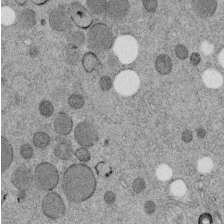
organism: C. elegans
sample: C. elegans embryo early stage